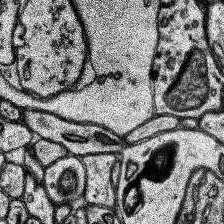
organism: Human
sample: Temporal Lobe